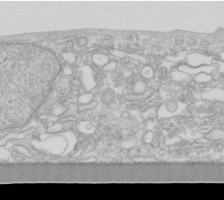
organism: Human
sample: Fibroblast cells